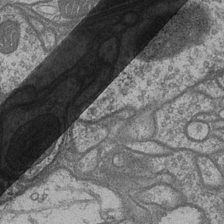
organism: Drosophila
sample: Optic medulla